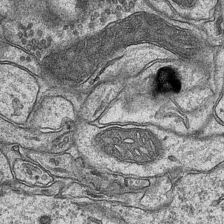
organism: Mouse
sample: CA1 Hippocampus